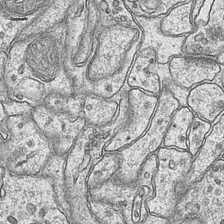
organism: Mouse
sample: CA1 Hippocampus